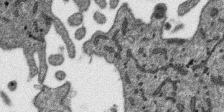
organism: Human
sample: Lung epithelial cells infected with SARS-CoV-2